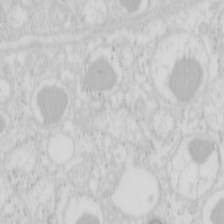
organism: Mouse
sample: Pancreas